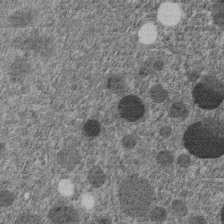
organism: C. elegans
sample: C. elegans embryo early stage